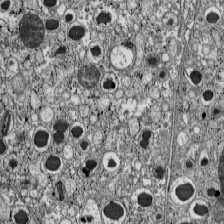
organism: C57BL Mouse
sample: Pancreatic islet